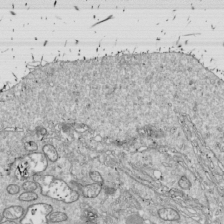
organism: Drosophila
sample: Cell division; meiosis; drosophila spermatocytes